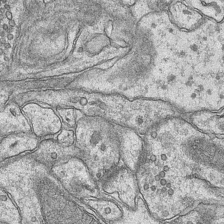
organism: Mouse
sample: CA1 Hippocampus